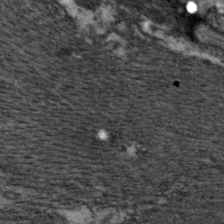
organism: C. elegans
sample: Pharynx